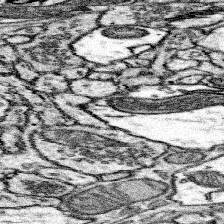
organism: Mouse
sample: Somatosensory cortex neuropil